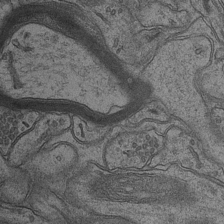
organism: Mouse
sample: CA1 Hippocampus